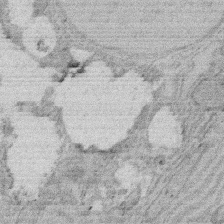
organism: Rat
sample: Salivary granule